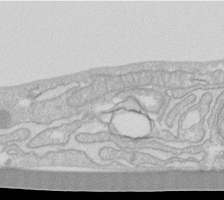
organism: Human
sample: Fibroblast cells